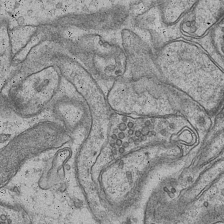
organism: Mouse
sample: CA1 Hippocampus